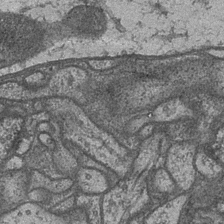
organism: Drosophila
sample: Optic medulla